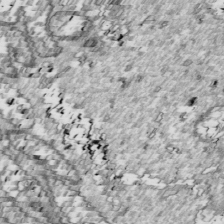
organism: Drosophila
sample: Cell division; meiosis; drosophila spermatocytes